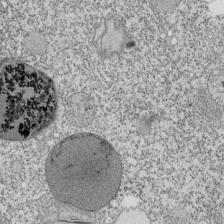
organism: Tetrahymena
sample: Cilia in tetrahymena